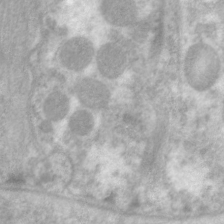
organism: C. elegans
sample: Pharynx